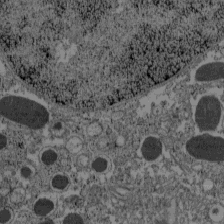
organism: C57BL Mouse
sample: Pancreatic islet